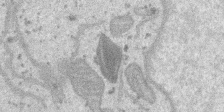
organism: Human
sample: Lung epithelial cells infected with SARS-CoV-2